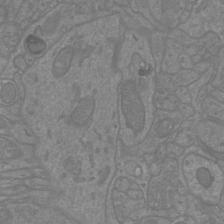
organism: Mouse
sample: Cortical neurons